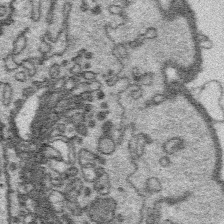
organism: Platynereis dumerilii